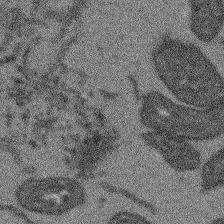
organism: Arabidopsis thaliana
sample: Root tip